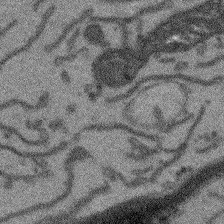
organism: Arabidopsis thaliana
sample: Root tip